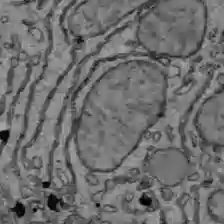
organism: C57BL Mouse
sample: Liver